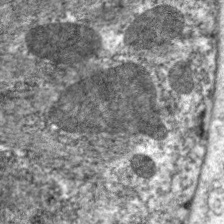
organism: C. elegans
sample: Pharynx